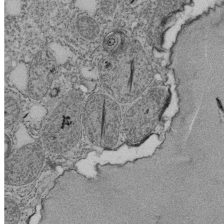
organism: Tetrahymena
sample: Cilia in tetrahymena